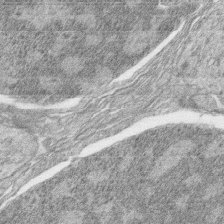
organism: Zebrafish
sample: synaptic ribbons in rod cells and cone cells